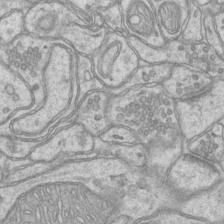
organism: Mouse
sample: CA1 Hippocampus